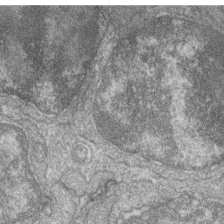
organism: Zebrafish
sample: Cilia; retinal pigment epithelium